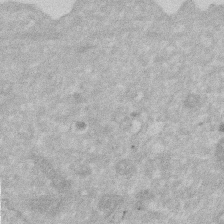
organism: Human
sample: HIV infected U937 cells